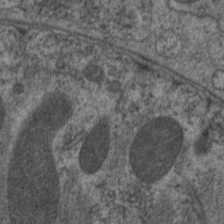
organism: C. elegans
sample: Pharynx